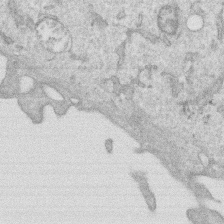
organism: Human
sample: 1205lu cells